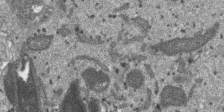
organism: Human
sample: Lung epithelial cells infected with SARS-CoV-2